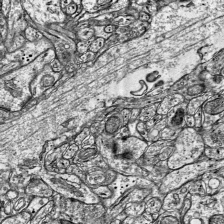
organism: Mouse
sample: Visual Cortex